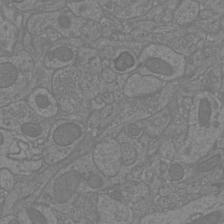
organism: Mouse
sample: Cortical neurons